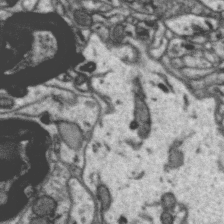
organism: Zebra finch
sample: Brain